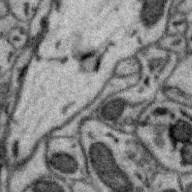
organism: Zebra finch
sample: Brain